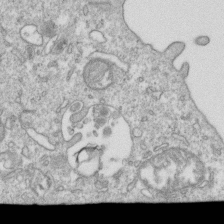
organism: Mouse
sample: Activated OT-1 CD8+ T cells